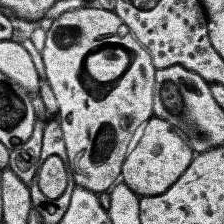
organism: Human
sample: Temporal Lobe